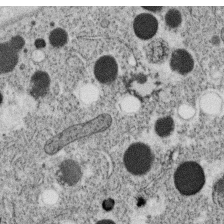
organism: C. elegans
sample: C. elegans oocyte; sperm cells